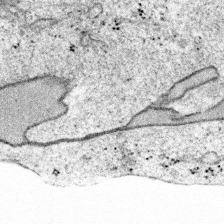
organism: Human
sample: HeLa cells